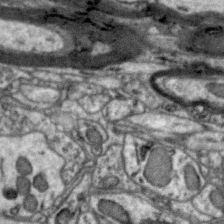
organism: Zebra finch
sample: Brain